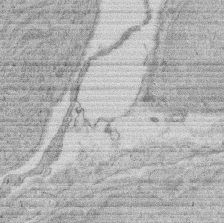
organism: Rat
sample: Salivary granule